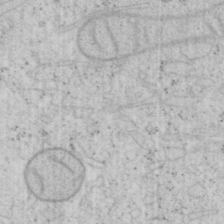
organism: Human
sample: HeLa cells